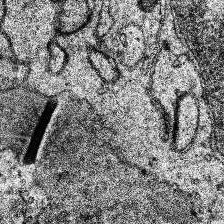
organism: Human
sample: Temporal Lobe